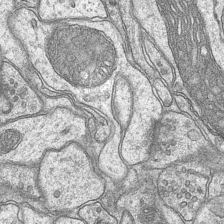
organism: Mouse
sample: CA1 Hippocampus